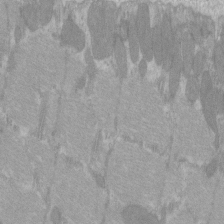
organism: C57BL Mouse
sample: Tibialis anterior muscle cell